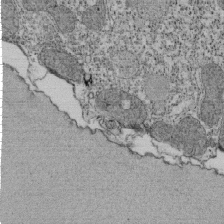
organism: Tetrahymena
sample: Cilia in tetrahymena